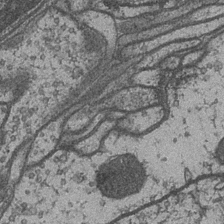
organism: Drosophila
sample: Optic medulla